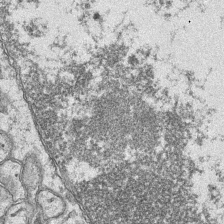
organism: Mouse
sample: CA1 Hippocampus